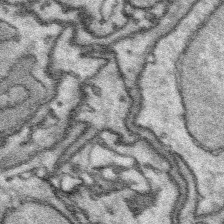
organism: Platynereis dumerilii